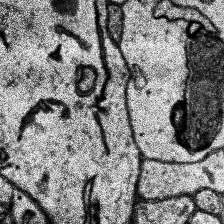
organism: Human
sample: Temporal Lobe